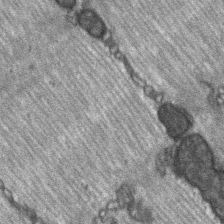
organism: C57BL Mouse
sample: Soleus